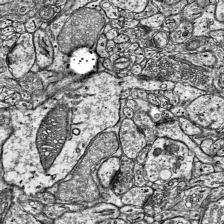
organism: Mouse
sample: Visual Cortex